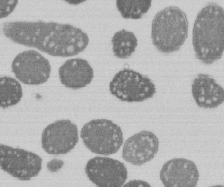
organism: E. coli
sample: Bacterial nucleoid